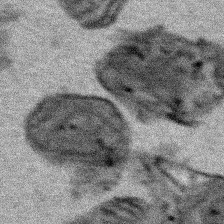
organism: Human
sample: Mitochondria in HCT116 cells